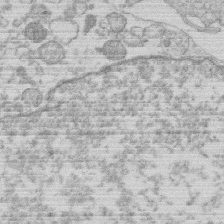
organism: Human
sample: Macrophage cells